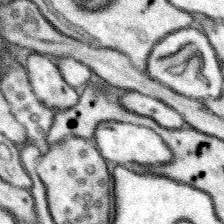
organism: Mouse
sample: Somatosensory cortex neuropil